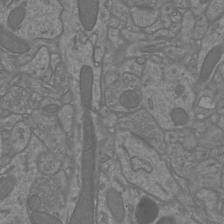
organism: Mouse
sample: Cortical neurons